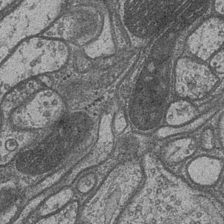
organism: Drosophila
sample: Optic medulla